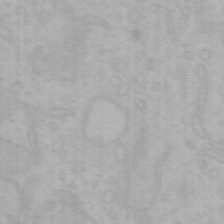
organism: Mouse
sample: Choroid plexus